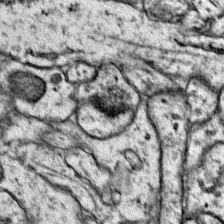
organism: Mouse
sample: Primary visual cortex